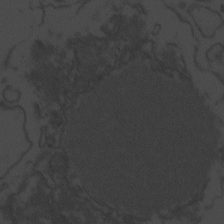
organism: Zebrafish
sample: Macrophage infected with Toxoplasma gondii